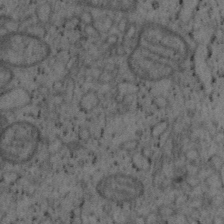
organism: Human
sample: HeLa cells